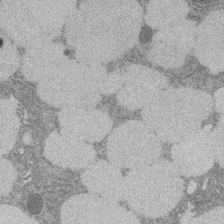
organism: Rat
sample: Salivary granule